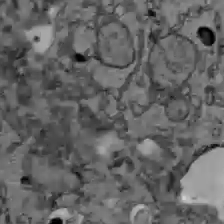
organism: C57BL Mouse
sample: Liver